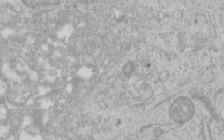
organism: Human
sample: Centriole in RPE cells